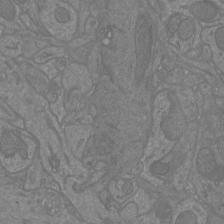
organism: Mouse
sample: Cortical neurons